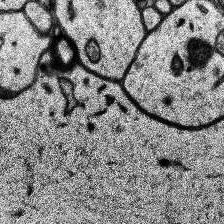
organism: Human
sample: Temporal Lobe